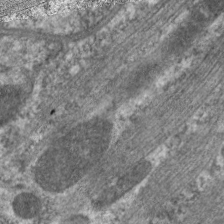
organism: C. elegans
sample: Pharynx